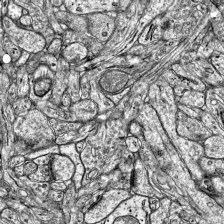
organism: Mouse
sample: Visual Cortex